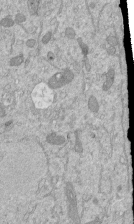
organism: Mouse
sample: ED-1 cell nuclei; centrioles